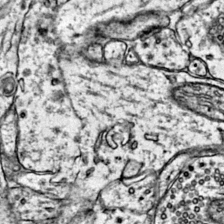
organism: Mouse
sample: Primary visual cortex